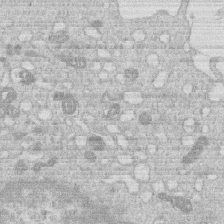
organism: Human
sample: Macrophage cells